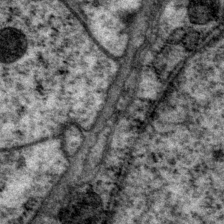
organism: P. pacificus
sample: Pharynx